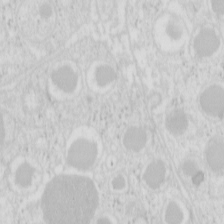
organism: Mouse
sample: Pancreas